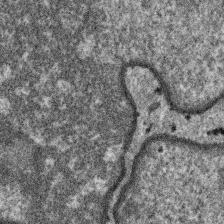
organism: Human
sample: Lung epithelial cells infected with SARS-CoV-2